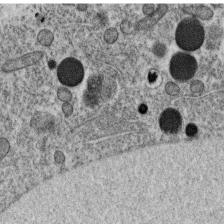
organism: C. elegans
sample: C. elegans oocyte; sperm cells